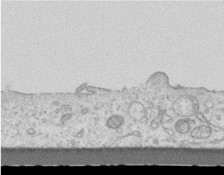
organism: Mouse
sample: Centriole in ependymal cells